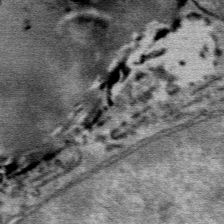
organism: Mouse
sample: Mouse Salivary gland